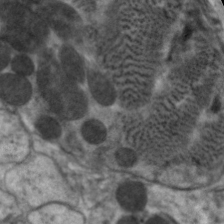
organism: C. elegans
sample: Pharynx